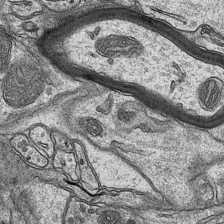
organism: Mouse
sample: CA1 Hippocampus